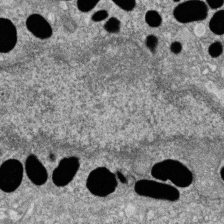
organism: Zebrafish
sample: Cilia; retinal pigment epithelium